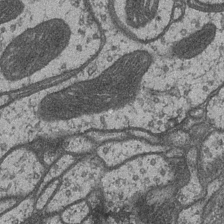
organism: Drosophila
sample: Optic medulla